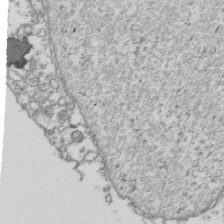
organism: Human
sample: Activated Jurkat CD4+ T cells